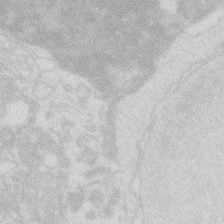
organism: Zebrafish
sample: Macrophage